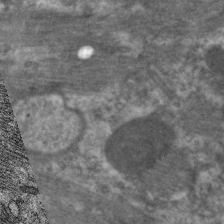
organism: C. elegans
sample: Pharynx